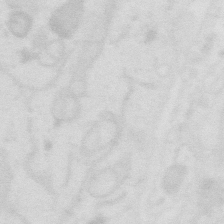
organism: Human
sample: HeLa cells